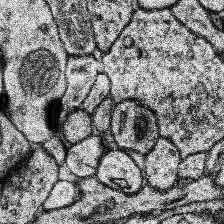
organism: Human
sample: Temporal Lobe